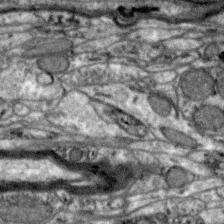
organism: Zebra finch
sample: Brain